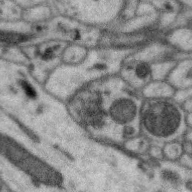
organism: Zebra finch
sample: Brain